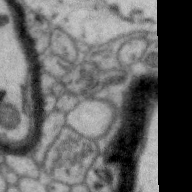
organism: Zebra finch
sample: Brain